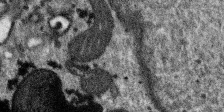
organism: Human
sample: Lung epithelial cells infected with SARS-CoV-2